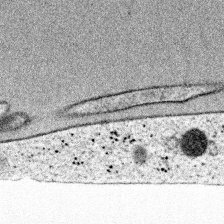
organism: Human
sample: HeLa cells